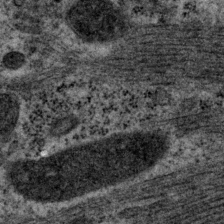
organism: P. pacificus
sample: Pharynx